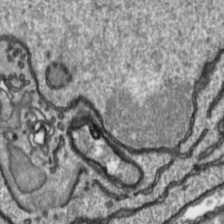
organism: Toxoplasma gondii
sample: Parasites in a vacuole inside a host cell